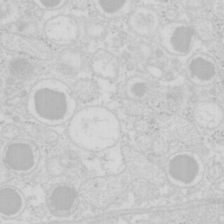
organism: Mouse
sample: Pancreas